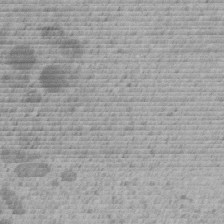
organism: C. elegans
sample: C. elegans embryo early stage